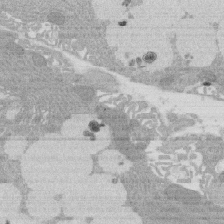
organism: Rat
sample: Salivary granule